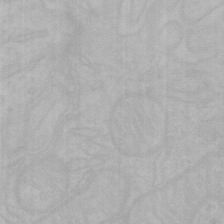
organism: Mouse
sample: Choroid plexus